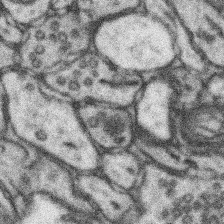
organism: Mouse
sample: Somatosensory cortex neuropil